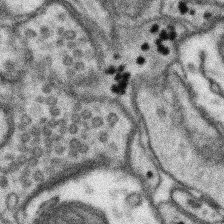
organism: Mouse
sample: Somatosensory cortex neuropil